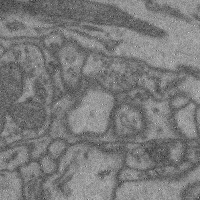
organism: Mouse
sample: Cerebral cortex